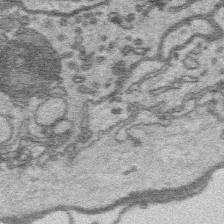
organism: Platynereis dumerilii